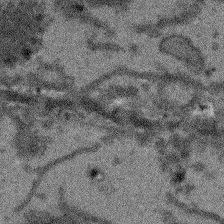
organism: Arabidopsis thaliana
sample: Root tip